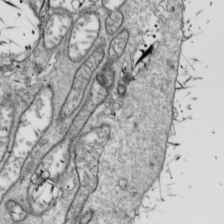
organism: Drosophila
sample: Cell division; meiosis; drosophila spermatocytes